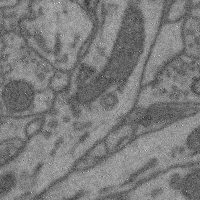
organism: Mouse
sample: Cerebral cortex